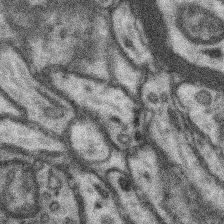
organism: Mouse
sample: Somatosensory cortex neuropil